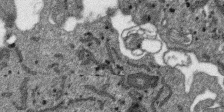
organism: Human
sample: Lung epithelial cells infected with SARS-CoV-2